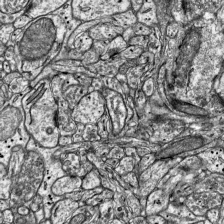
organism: Mouse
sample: Visual Cortex